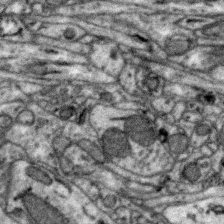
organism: Zebra finch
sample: Brain